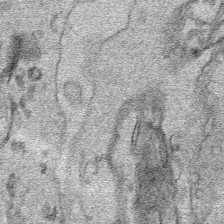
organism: Human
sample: Mitochondria in HCT116 cells